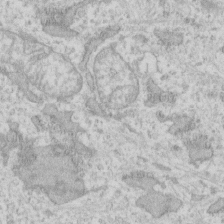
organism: Human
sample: Fibroblast cells